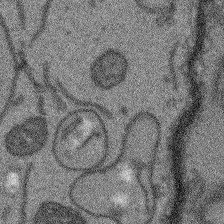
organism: Arabidopsis thaliana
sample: Root tip